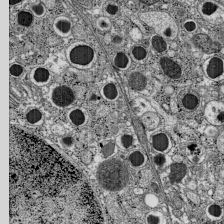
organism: C57BL Mouse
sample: Pancreatic islet